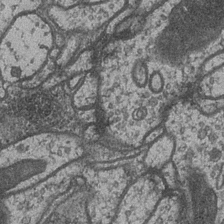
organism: Drosophila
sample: Optic medulla